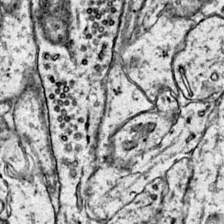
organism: Mouse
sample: Primary visual cortex